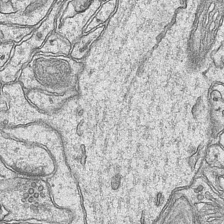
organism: Mouse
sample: CA1 Hippocampus